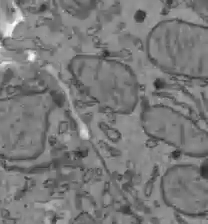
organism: C57BL Mouse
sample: Liver